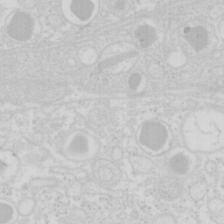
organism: Mouse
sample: Pancreas